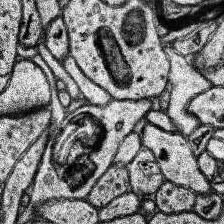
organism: Human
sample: Temporal Lobe